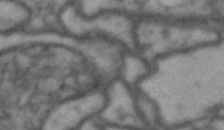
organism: Drosophila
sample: Brain